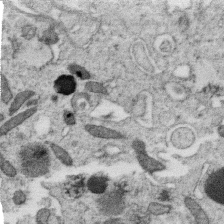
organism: C. elegans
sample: C. elegans oocyte; sperm cells